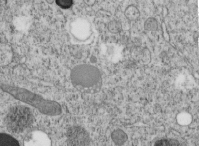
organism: C. elegans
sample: C. elegans embryo early stage